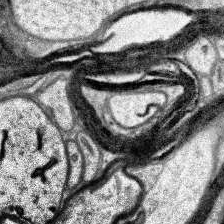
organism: Human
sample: Temporal Lobe